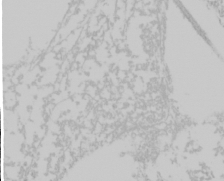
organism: Mouse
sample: Cancer cell death in ED-1 cells